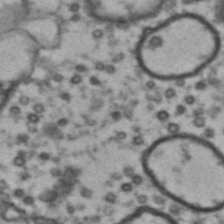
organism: Drosophila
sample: Brain